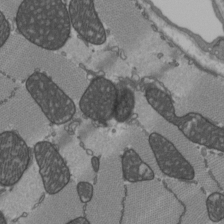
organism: C57BL Mouse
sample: Heart